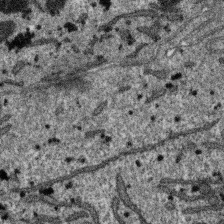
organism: Human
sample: Lung epithelial cells infected with SARS-CoV-2